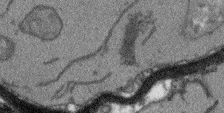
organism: Arabidopsis thaliana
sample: Root tip